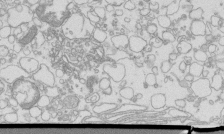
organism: Mouse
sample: Macrophages